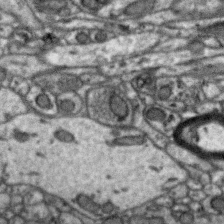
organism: Zebra finch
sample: Brain